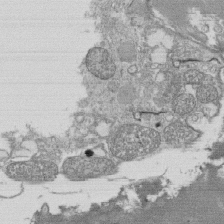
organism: Tetrahymena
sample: Cilia in tetrahymena